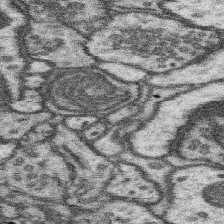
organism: Mouse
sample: Somatosensory cortex neuropil